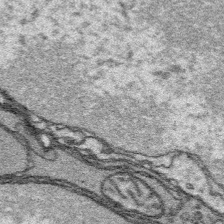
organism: Platynereis dumerilii